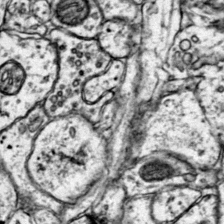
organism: Mouse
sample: Primary visual cortex